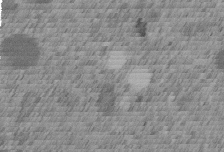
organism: C. elegans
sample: C. elegans embryo early stage